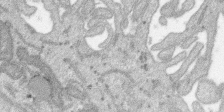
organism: Human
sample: Lung epithelial cells infected with SARS-CoV-2